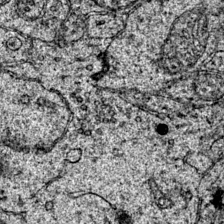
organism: Mouse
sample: Primary visual cortex